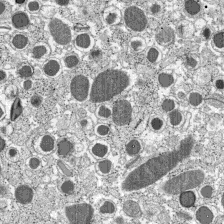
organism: C57BL Mouse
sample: Pancreatic islet